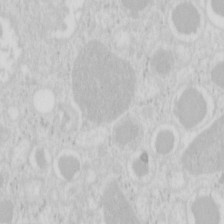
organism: Mouse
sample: Pancreas